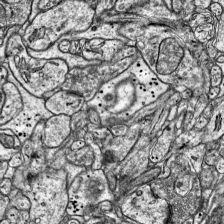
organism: Mouse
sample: Visual Cortex